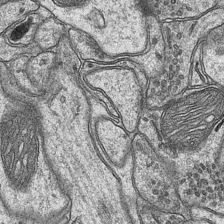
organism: Mouse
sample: CA1 Hippocampus